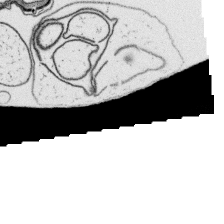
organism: Platynereis dumerilii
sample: Parapodia